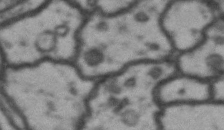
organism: Drosophila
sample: Brain